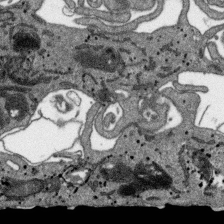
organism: Human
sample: Lung epithelial cells, uninfected (mock) control